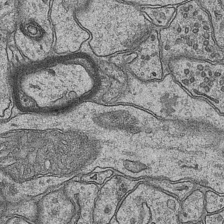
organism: Mouse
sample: CA1 Hippocampus